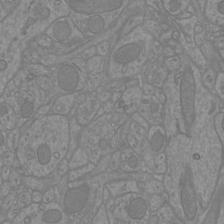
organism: Mouse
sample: Cortical neurons